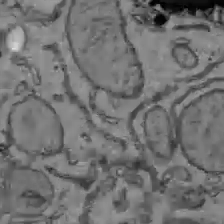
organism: C57BL Mouse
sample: Liver